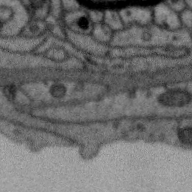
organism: Zebra finch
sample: Brain